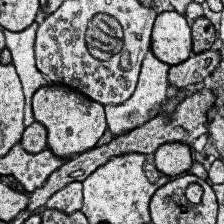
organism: Human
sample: Temporal Lobe